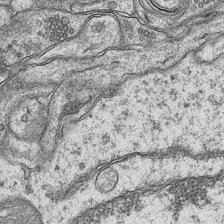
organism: Mouse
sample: CA1 Hippocampus